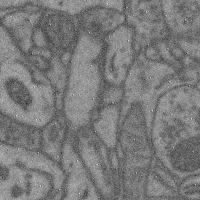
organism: Mouse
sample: Cerebral cortex